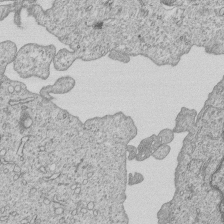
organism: Human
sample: MDA-MB-231 cells